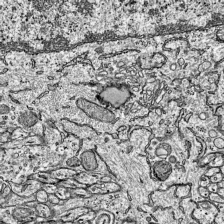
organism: Mouse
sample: Visual Cortex